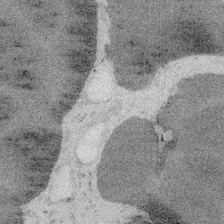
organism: Embia sp.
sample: Silk gland